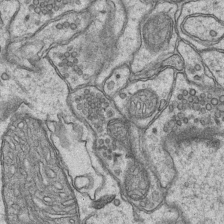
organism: Mouse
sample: CA1 Hippocampus